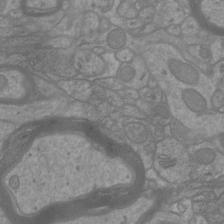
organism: Mouse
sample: Cortical neurons